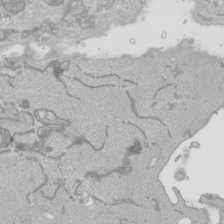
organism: Human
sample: Mitochondria in HCT116 cells